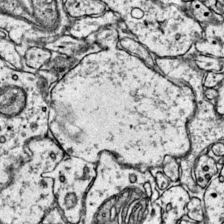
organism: Mouse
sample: Primary visual cortex